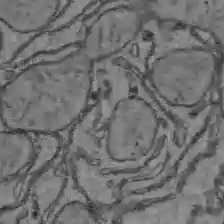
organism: C57BL Mouse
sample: Liver